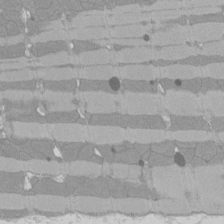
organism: Rat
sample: Left ventricle